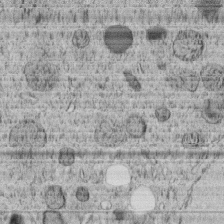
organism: C. elegans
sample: C. elegans embryo early stage